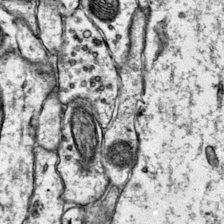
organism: Mouse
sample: Primary visual cortex